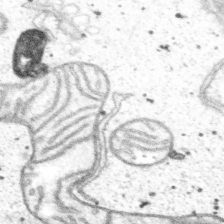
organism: Human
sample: HeLa cells